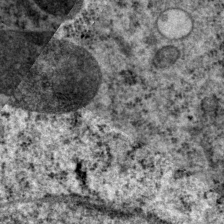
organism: P. pacificus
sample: Pharynx